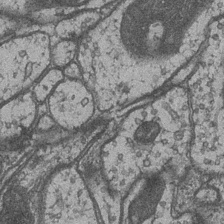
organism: Drosophila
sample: Optic medulla